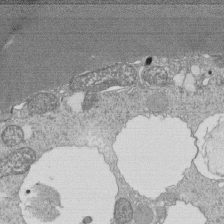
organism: Tetrahymena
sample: Cilia in tetrahymena